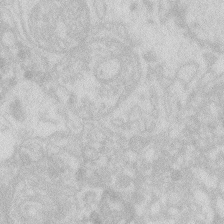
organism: Zebrafish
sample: Macrophage